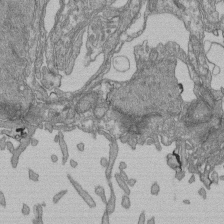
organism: Human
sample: Retinal organoid Rod and Cone cells